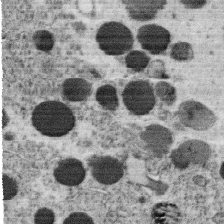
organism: C. elegans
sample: C. elegans oocyte; sperm cells